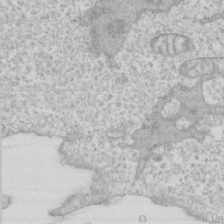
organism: Human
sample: CRL-1474